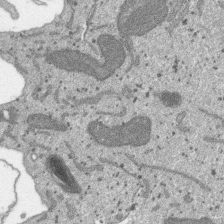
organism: Human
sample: Lung epithelial cells infected with SARS-CoV-2